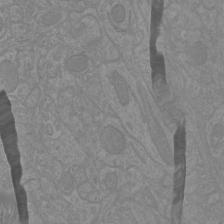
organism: Mouse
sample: Cortical neurons